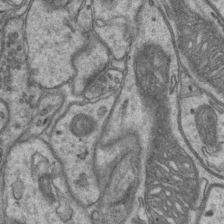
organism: Mouse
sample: CA1 Hippocampus